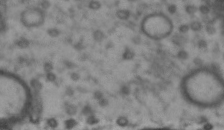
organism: Drosophila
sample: Brain